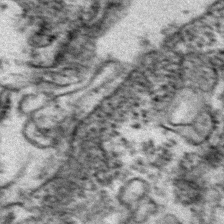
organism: Zebrafish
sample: Zebrafish embryo